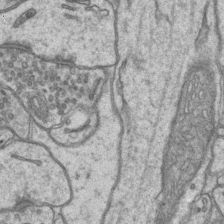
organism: Mouse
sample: CA1 Hippocampus